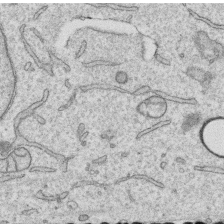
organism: Human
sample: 1205lu cells